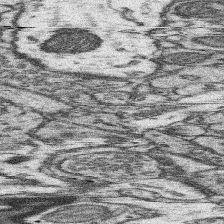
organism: Mouse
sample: Somatosensory cortex neuropil